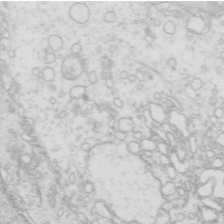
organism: Mouse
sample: Multiciliated cells